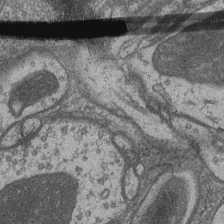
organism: Drosophila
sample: Optic medulla